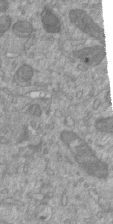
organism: Mouse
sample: ED-1 cell nuclei; centrioles